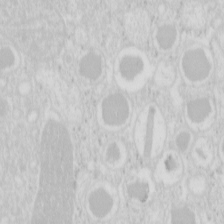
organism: Mouse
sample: Pancreas